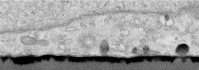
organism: Human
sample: Centriole in RPE cells